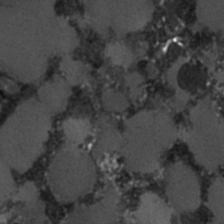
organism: C. elegans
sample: C. elegans embryo